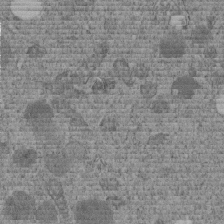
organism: C. elegans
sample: C. elegans embryo early stage